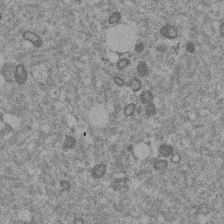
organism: Mouse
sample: Dividing mouse embryo 1 cell stage